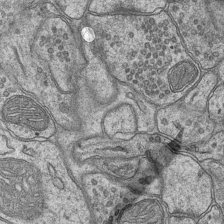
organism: Mouse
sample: CA1 Hippocampus